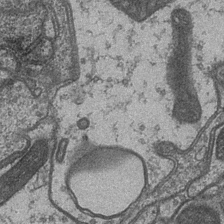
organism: Drosophila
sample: Optic medulla